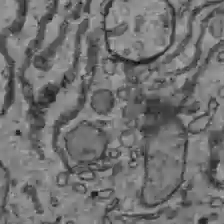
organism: C57BL Mouse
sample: Liver